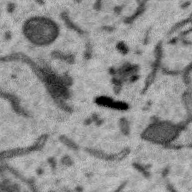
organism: Zebra finch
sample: Brain